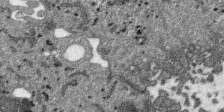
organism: Human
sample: Lung epithelial cells infected with SARS-CoV-2